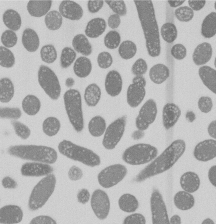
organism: E. coli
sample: Bacterial nucleoid